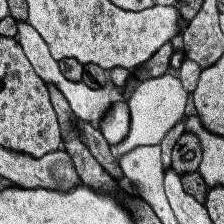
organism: Human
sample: Temporal Lobe